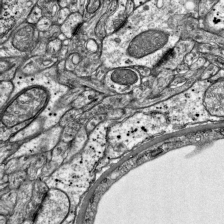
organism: Mouse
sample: Visual Cortex